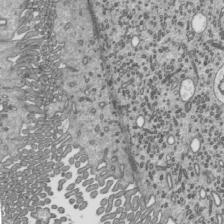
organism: Mouse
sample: Mouse epididymis efferent ductule cilia